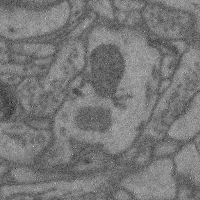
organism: Mouse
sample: Cerebral cortex